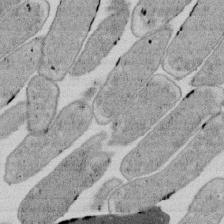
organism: E. coli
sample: Bacterial nucleoid